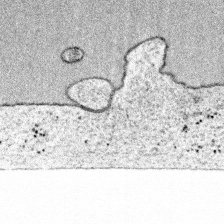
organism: Human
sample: HeLa cells